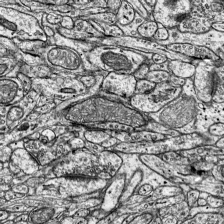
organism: Mouse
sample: Visual Cortex